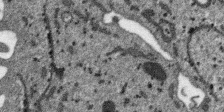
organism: Human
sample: Lung epithelial cells infected with SARS-CoV-2